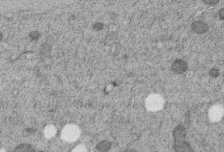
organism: C. elegans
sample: C. elegans embryo early stage